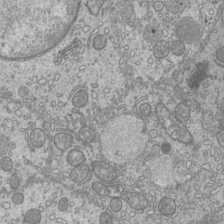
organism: Mouse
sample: Cilia; mouse epididymis